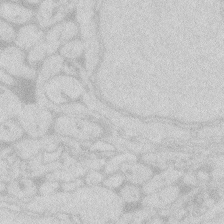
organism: Zebrafish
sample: Macrophage